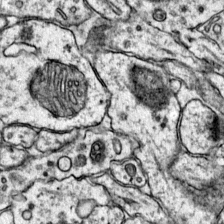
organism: Mouse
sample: Primary visual cortex